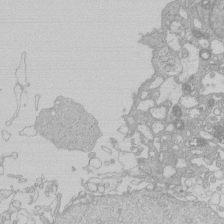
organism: Human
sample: Macrophage cells